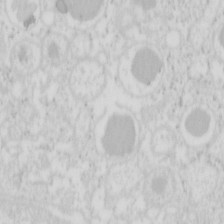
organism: Mouse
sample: Pancreas